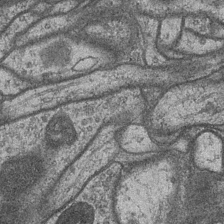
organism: Drosophila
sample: Optic medulla